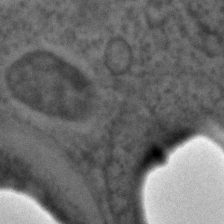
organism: C. elegans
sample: C. elegans embryo